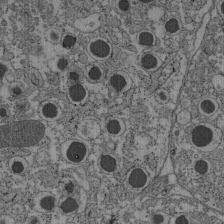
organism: C57BL Mouse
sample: Pancreatic islet